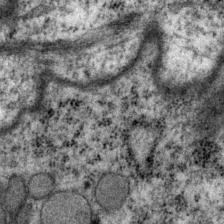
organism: P. pacificus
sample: Pharynx